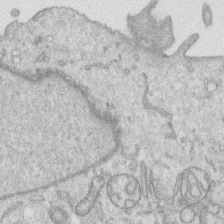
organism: Human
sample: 1205lu cells